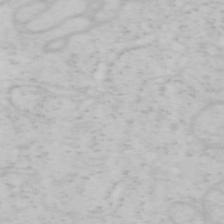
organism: Mouse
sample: OT-I killer T cells with ID8 ovarian cancer cells